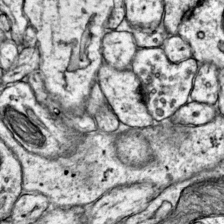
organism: Mouse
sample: Primary visual cortex